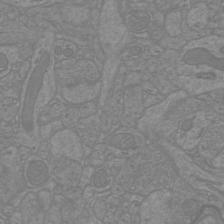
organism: Mouse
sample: Cortical neurons